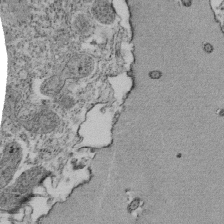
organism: Tetrahymena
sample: Cilia in tetrahymena